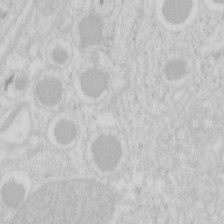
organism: Mouse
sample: Pancreas